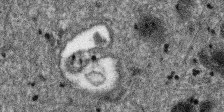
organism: Human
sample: Lung epithelial cells infected with SARS-CoV-2